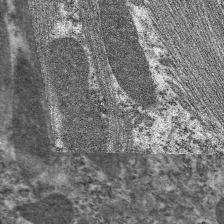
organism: C. elegans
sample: Pharynx